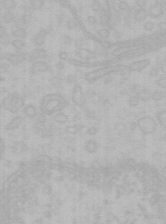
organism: Mouse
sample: Choroid plexus